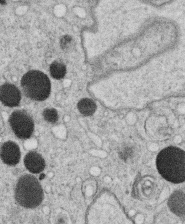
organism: C. elegans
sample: C. elegans oocyte; sperm cells